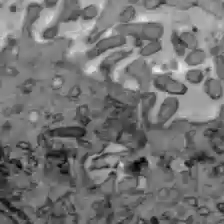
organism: C57BL Mouse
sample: Liver